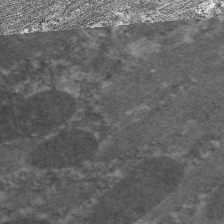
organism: C. elegans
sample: Pharynx